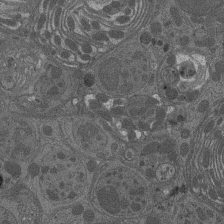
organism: Drosophila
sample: Antenna